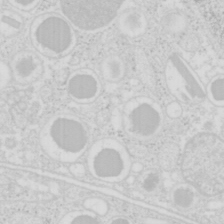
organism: Mouse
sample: Pancreas